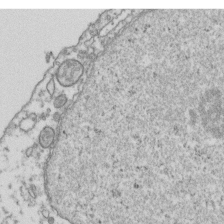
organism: Human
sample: Activated Jurkat CD4+ T cells